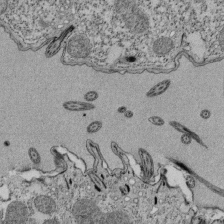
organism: Tetrahymena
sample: Cilia in tetrahymena